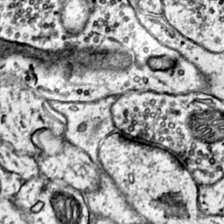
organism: Mouse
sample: Primary visual cortex